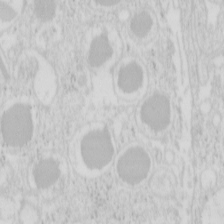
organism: Mouse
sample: Pancreas